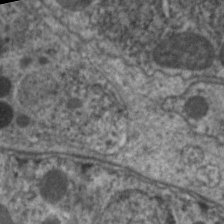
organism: C. elegans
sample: Pharynx